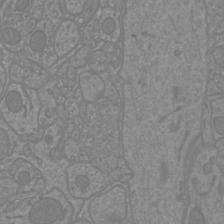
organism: Mouse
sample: Cortical neurons